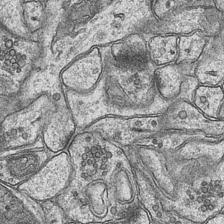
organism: Mouse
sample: CA1 Hippocampus